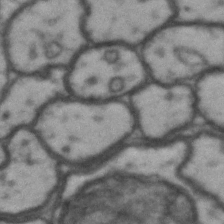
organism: Drosophila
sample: Brain